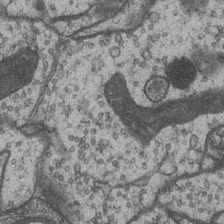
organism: Drosophila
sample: Optic medulla